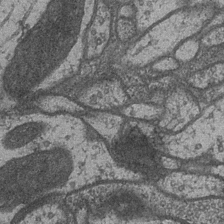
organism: Drosophila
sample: Optic medulla